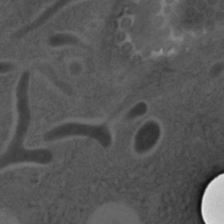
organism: C. elegans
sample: C. elegans embryo